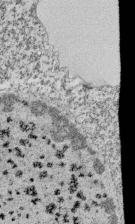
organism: Tetrahymena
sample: Cilia in tetrahymena